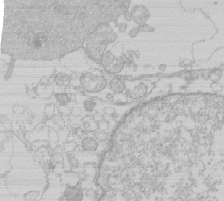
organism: Human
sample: Macrophage cells